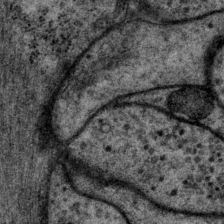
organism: P. pacificus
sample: Pharynx